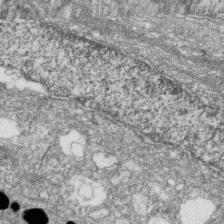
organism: Zebrafish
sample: Cilia; retinal pigment epithelium